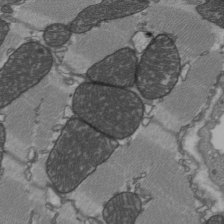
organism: C57BL Mouse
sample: Heart